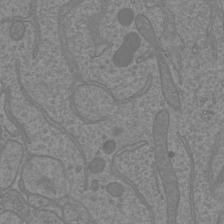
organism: Mouse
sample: Cortical neurons